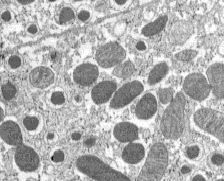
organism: C57BL Mouse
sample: Pancreatic islet